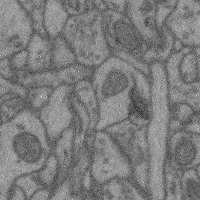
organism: Mouse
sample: Cerebral cortex